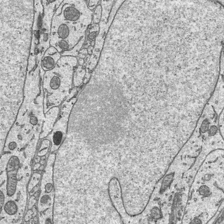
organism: Mouse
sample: Suprachiasmatic nucleus